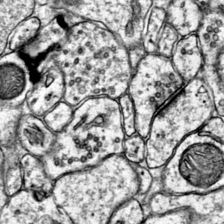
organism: Mouse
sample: Primary visual cortex